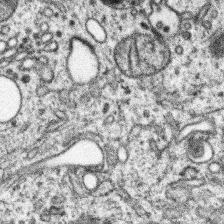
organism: Human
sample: HeLa cells